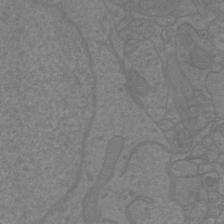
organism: Mouse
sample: Cortical neurons